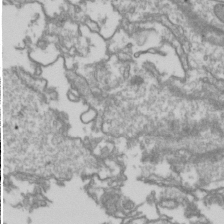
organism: Drosophila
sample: Cell division; meiosis; drosophila spermatocytes